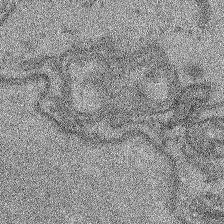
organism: Human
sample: HeLa cells